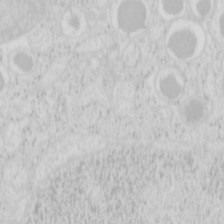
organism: Mouse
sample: Pancreas